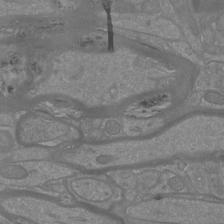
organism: Mouse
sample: Cortical neurons